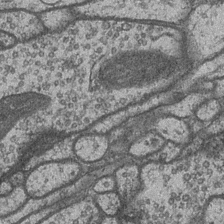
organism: Drosophila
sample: Optic medulla